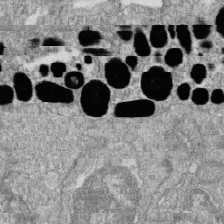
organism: Zebrafish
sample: Cilia; retinal pigment epithelium